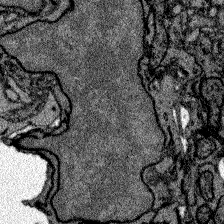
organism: Zebrafish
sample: Larval olfactory bulb